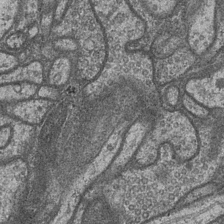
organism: Drosophila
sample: Optic medulla